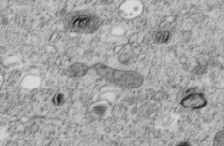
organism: C. elegans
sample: C. elegans embryo early stage